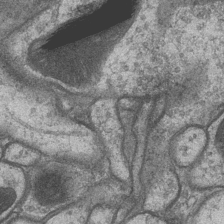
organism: Drosophila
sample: Optic medulla